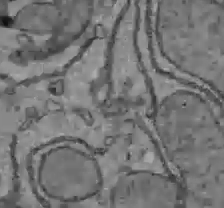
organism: C57BL Mouse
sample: Liver